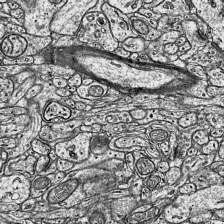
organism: Mouse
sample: Visual Cortex